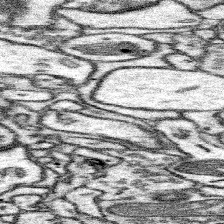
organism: Mouse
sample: Somatosensory cortex neuropil